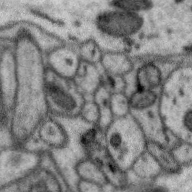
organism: Zebra finch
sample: Brain